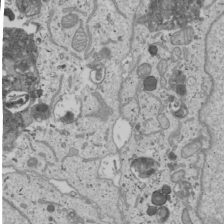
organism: Human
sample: Mitochondria in U2OS cells